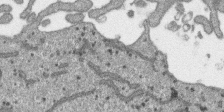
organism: Human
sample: Lung epithelial cells infected with SARS-CoV-2